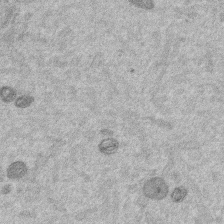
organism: Mouse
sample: Dividing mouse embryo 1 cell stage